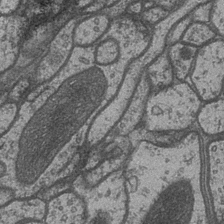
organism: Drosophila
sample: Optic medulla